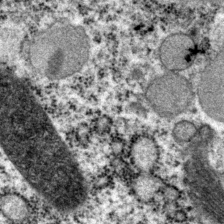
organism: P. pacificus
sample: Pharynx